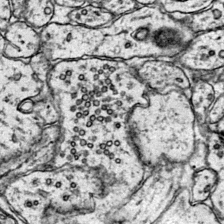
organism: Mouse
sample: Primary visual cortex